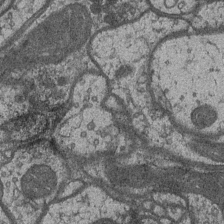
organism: Drosophila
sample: Optic medulla